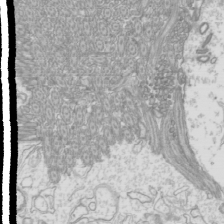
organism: Mouse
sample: Cilia; mouse epididymis